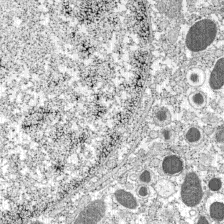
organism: C57BL Mouse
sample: Pancreatic islet